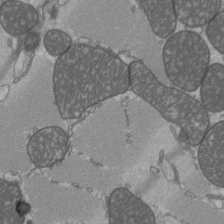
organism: C57BL Mouse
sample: Heart